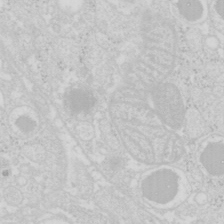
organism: Mouse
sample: Pancreas